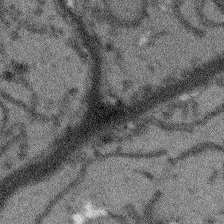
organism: Arabidopsis thaliana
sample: Root tip